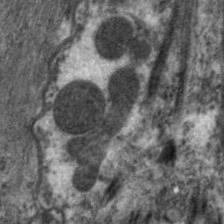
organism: C. elegans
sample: Pharynx